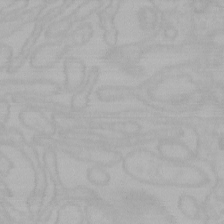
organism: Mouse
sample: Choroid plexus